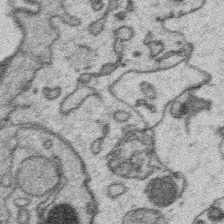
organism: Platynereis dumerilii